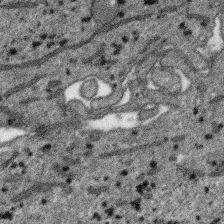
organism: Human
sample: Lung epithelial cells infected with SARS-CoV-2